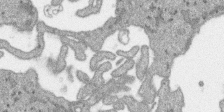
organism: Human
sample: Lung epithelial cells infected with SARS-CoV-2